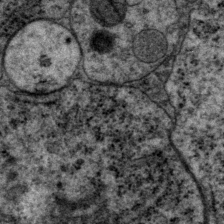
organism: P. pacificus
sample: Pharynx